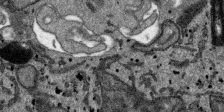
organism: Human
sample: Lung epithelial cells, uninfected (mock) control